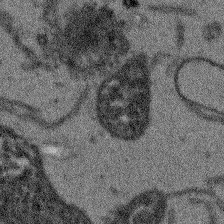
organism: Arabidopsis thaliana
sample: Root tip